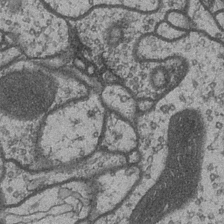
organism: Drosophila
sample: Optic medulla